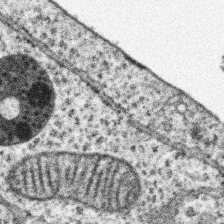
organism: Human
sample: HeLa cells